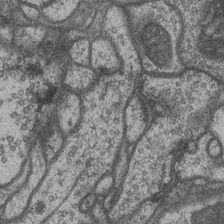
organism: Drosophila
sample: Optic medulla